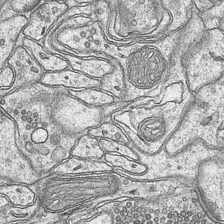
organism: Mouse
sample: CA1 Hippocampus